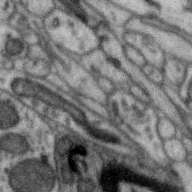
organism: Zebra finch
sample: Brain